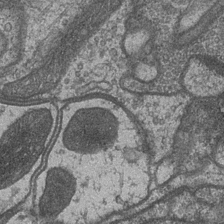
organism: Drosophila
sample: Optic medulla